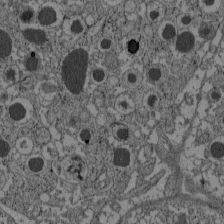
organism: C57BL Mouse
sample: Pancreatic islet